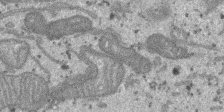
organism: Human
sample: Lung epithelial cells infected with SARS-CoV-2